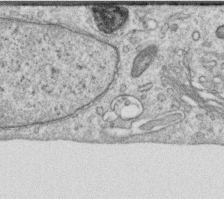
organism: Human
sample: Centriole in RPE cells